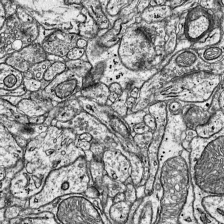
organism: Mouse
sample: Visual Cortex